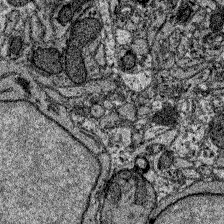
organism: Zebrafish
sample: Larval olfactory bulb